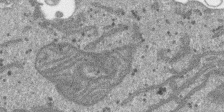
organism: Human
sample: Lung epithelial cells infected with SARS-CoV-2